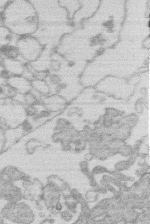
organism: Human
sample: Macrophage cells